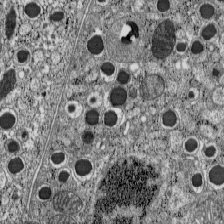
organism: C57BL Mouse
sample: Pancreatic islet